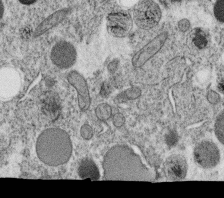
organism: C. elegans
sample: C. elegans oocyte; sperm cells